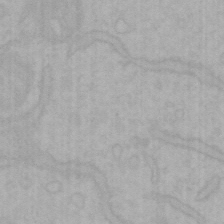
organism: Mouse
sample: Choroid plexus